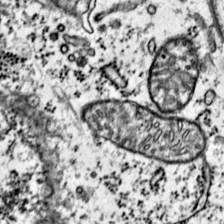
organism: Mouse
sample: Primary visual cortex